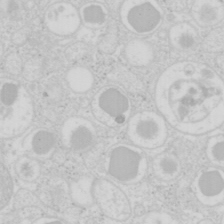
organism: Mouse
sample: Pancreas